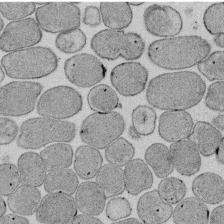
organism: E. coli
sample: Bacterial nucleoid